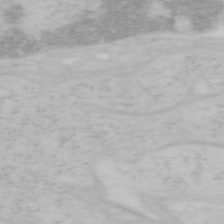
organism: Mouse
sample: OT-I killer T cells with ID8 ovarian cancer cells